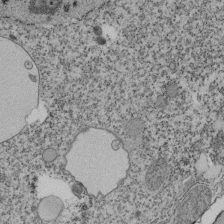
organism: Tetrahymena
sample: Cilia in tetrahymena